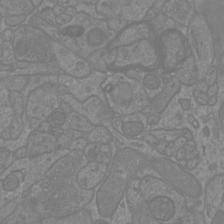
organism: Mouse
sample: Cortical neurons